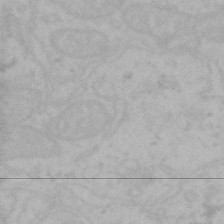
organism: Mouse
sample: Choroid plexus